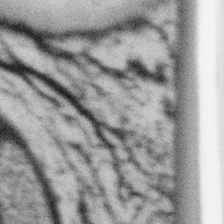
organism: Gemmata obscuriglobus